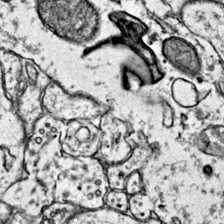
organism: Mouse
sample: Primary visual cortex